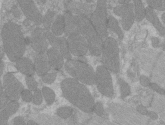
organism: C57BL Mouse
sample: Tibialis anterior muscle cell